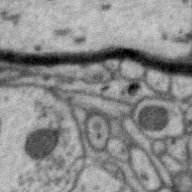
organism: Zebra finch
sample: Brain